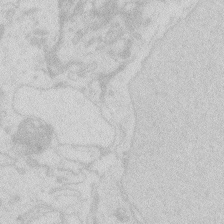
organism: Zebrafish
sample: Macrophage